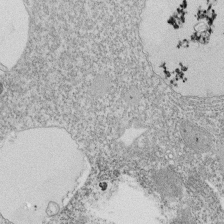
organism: Tetrahymena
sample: Cilia in tetrahymena